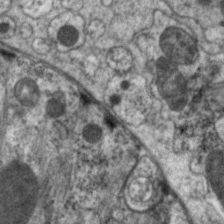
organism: C. elegans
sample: Pharynx